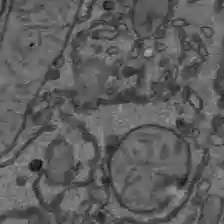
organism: C57BL Mouse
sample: Liver